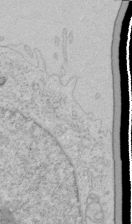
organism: Human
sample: Mitochondria in HCT116 cells